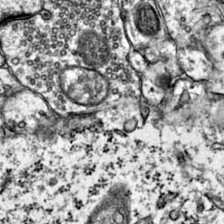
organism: Mouse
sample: Primary visual cortex